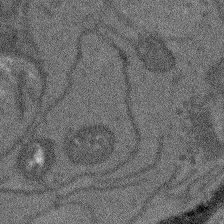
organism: Arabidopsis thaliana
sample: Root tip